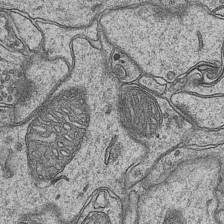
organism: Mouse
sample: CA1 Hippocampus